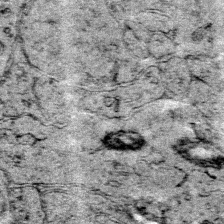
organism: Mouse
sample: Primary visual cortex